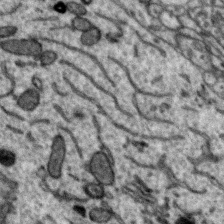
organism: Zebra finch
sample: Brain